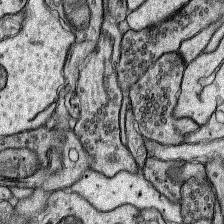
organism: Rat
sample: Hippocampus